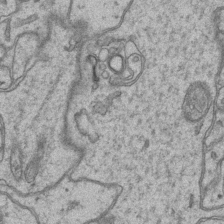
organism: Mouse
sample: CA1 Hippocampus